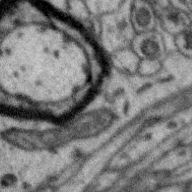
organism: Zebra finch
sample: Brain